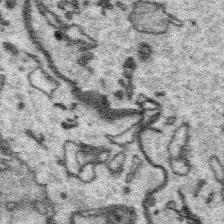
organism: Platynereis dumerilii